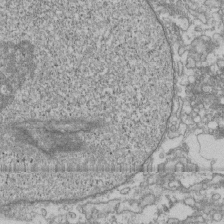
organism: Human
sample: Fibroblast cells